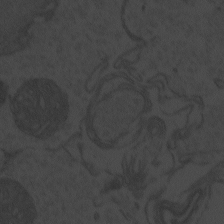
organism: Zebrafish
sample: Macrophage infected with Toxoplasma gondii